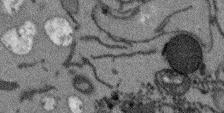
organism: Arabidopsis thaliana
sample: Root tip